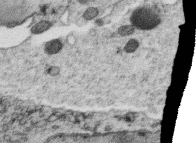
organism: C. elegans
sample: C. elegans oocyte; sperm cells